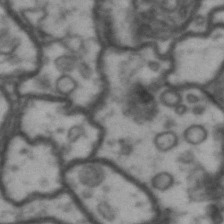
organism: Drosophila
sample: Brain